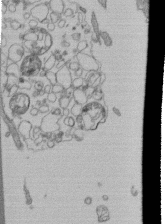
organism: Human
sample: Retinal organoid Rod and Cone cells